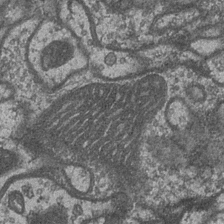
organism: Drosophila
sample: Optic medulla